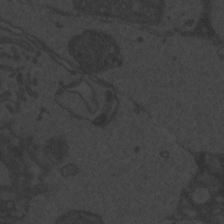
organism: Zebrafish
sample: Macrophage infected with Toxoplasma gondii